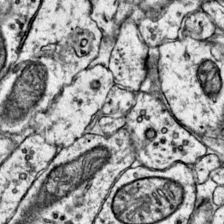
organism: Mouse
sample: Primary visual cortex